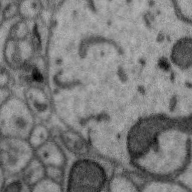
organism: Zebra finch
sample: Brain